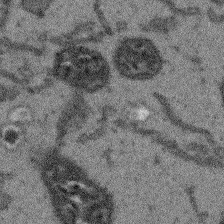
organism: Arabidopsis thaliana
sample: Root tip